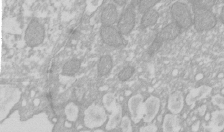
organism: Xenopus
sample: Cilia; centrioles in frog embryo cells